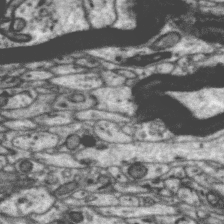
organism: Zebra finch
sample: Brain